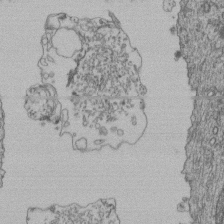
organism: Human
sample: Retinal organoid Rod and Cone cells